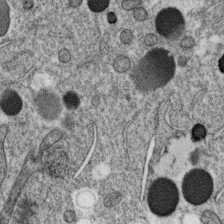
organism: C. elegans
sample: C. elegans oocyte; sperm cells